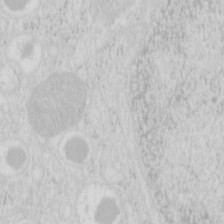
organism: Mouse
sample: Pancreas